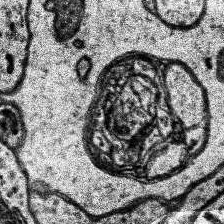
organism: Human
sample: Temporal Lobe